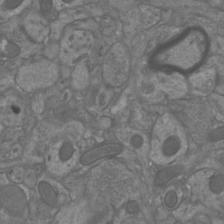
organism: Mouse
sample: Cortical neurons